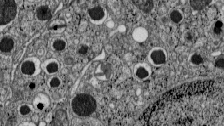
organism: C57BL Mouse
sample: Pancreatic islet